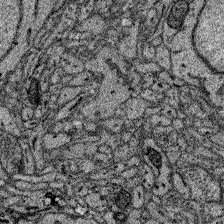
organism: Zebrafish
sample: Larval olfactory bulb